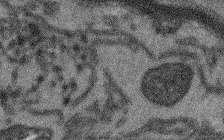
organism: Arabidopsis thaliana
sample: Root tip